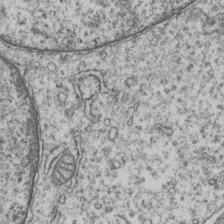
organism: Human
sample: MDA-MB-231 cells